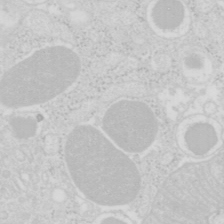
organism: Mouse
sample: Pancreas